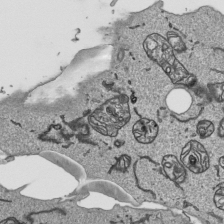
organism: Human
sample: Mitochondria in HCT116 cells